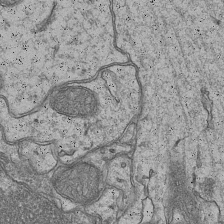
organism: Mouse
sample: CA1 Hippocampus